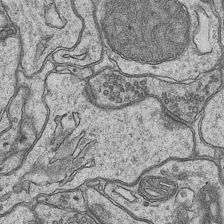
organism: Mouse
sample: CA1 Hippocampus